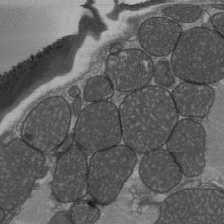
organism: C57BL Mouse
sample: Heart